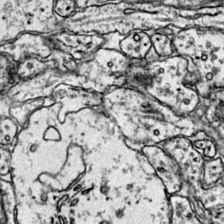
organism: Mouse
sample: Primary visual cortex